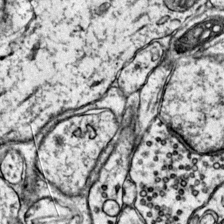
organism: Mouse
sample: Primary visual cortex